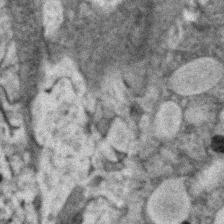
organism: Zebrafish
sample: Zebrafish embryo